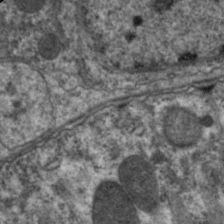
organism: C. elegans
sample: Pharynx